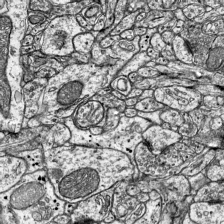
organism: Mouse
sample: Visual Cortex